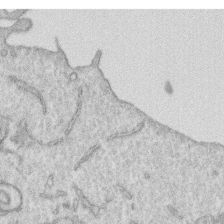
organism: Human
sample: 1205lu cells